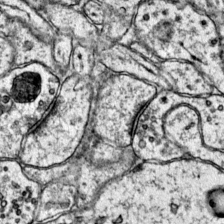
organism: Mouse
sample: Primary visual cortex